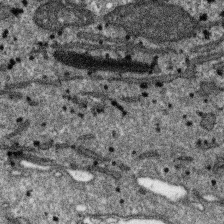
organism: Human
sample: Lung epithelial cells infected with SARS-CoV-2